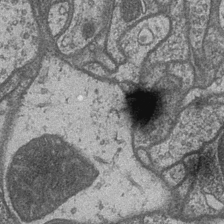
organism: Drosophila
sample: Optic medulla